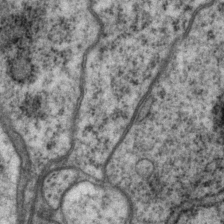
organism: P. pacificus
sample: Pharynx